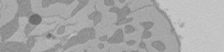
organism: Rat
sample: Left ventricle